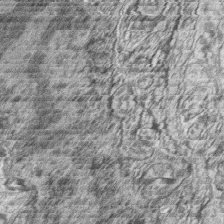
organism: Zebrafish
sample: synaptic ribbons in rod cells and cone cells